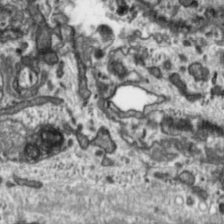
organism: Toxoplasma gondii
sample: Parasites in a vacuole inside a host cell